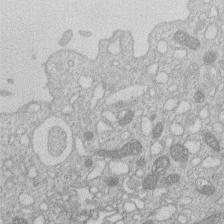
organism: Human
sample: Macrophage cells